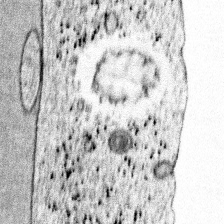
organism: Human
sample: HeLa cells